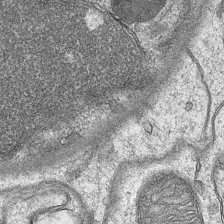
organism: Mouse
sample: CA1 Hippocampus